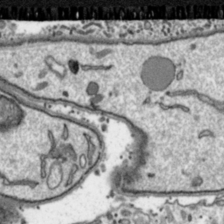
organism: Toxoplasma gondii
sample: Parasites in a vacuole inside a host cell